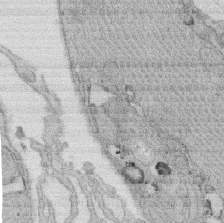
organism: Rat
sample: Salivary granule